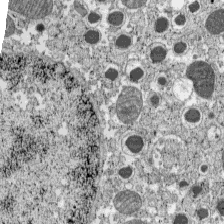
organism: C57BL Mouse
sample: Pancreatic islet